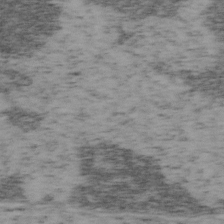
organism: Mouse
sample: OT-I killer T cells with ID8 ovarian cancer cells